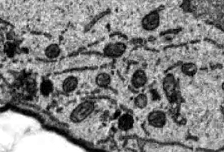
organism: Human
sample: HeLa cells